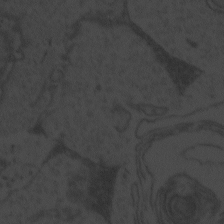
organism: Zebrafish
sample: Macrophage infected with Toxoplasma gondii